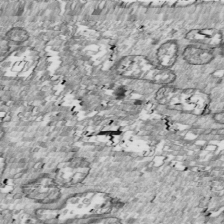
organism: Drosophila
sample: Cell division; meiosis; drosophila spermatocytes